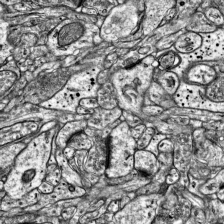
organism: Mouse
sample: Visual Cortex